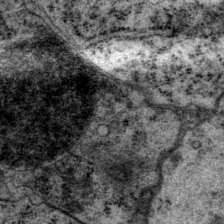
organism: P. pacificus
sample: Pharynx